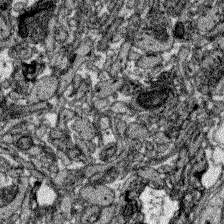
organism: Zebrafish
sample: Larval olfactory bulb